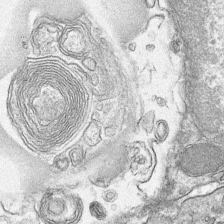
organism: Mouse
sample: Mouse hepatocytes